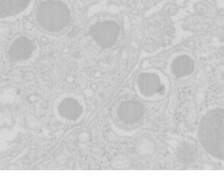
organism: Mouse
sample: Pancreas